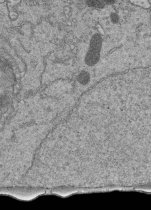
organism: Human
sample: Retinal organoid Rod and Cone cells